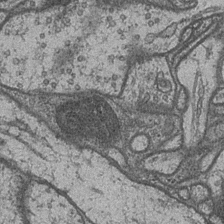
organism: Drosophila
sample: Optic medulla